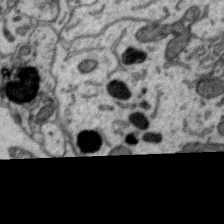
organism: Zebra finch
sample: Brain